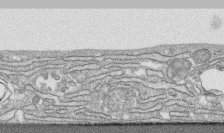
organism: Human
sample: CRL-1474